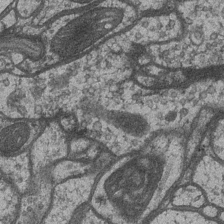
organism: Drosophila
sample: Optic medulla